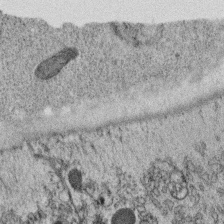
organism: C. elegans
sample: C. elegans oocyte; sperm cells